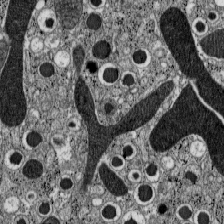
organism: C57BL Mouse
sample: Pancreatic islet